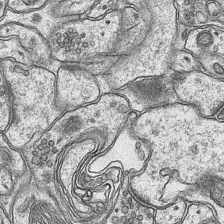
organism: Mouse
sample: CA1 Hippocampus